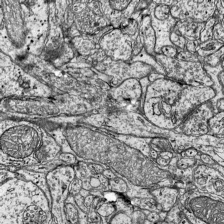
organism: Mouse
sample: Visual Cortex